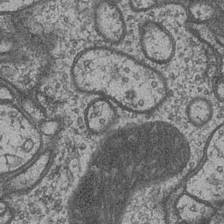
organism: Drosophila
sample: Optic medulla